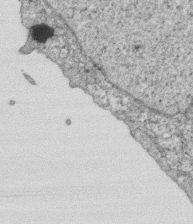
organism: Human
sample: HeLa cell HIV synapse